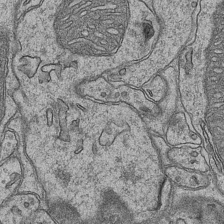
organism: Mouse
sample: CA1 Hippocampus